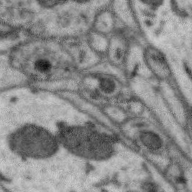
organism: Zebra finch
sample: Brain